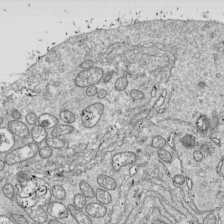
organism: Drosophila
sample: Cell division; meiosis; drosophila spermatocytes